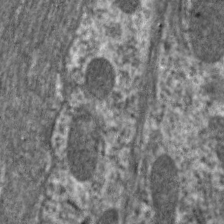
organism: C. elegans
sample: Pharynx